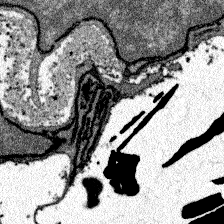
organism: Zebrafish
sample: Larval olfactory bulb